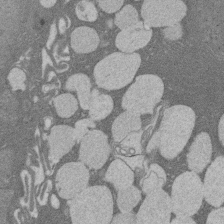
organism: Rat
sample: Salivary granule